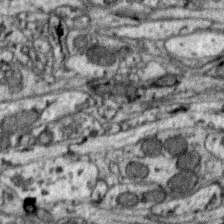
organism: Zebra finch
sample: Brain